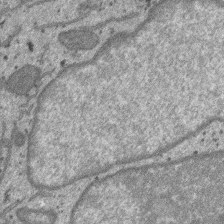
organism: Human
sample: Lung epithelial cells infected with SARS-CoV-2